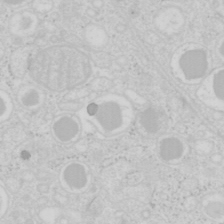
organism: Mouse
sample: Pancreas